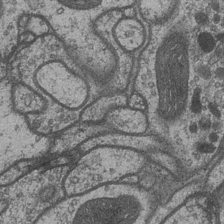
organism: Drosophila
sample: Optic medulla